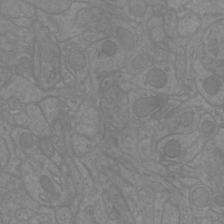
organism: Mouse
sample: Cortical neurons